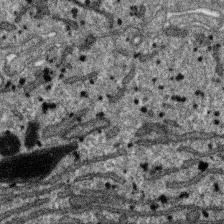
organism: Human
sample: Lung epithelial cells infected with SARS-CoV-2